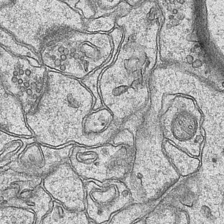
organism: Mouse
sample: CA1 Hippocampus